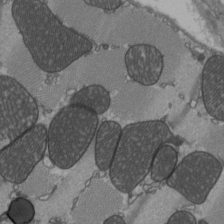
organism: C57BL Mouse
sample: Heart